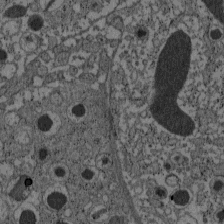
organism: C57BL Mouse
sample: Pancreatic islet